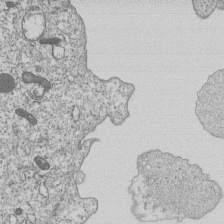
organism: Human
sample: MDA-MB-231 cells